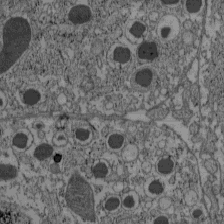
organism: C57BL Mouse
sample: Pancreatic islet